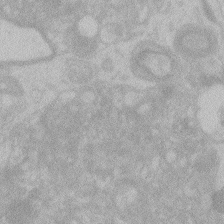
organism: Zebrafish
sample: Macrophage infected with Toxoplasma gondii